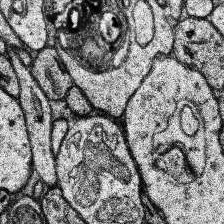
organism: Human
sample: Temporal Lobe